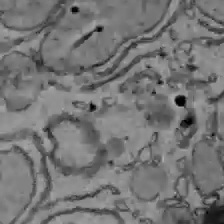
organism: C57BL Mouse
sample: Liver